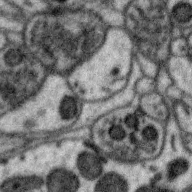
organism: Zebra finch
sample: Brain